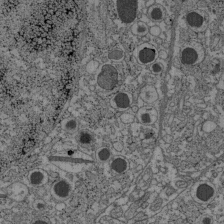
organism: C57BL Mouse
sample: Pancreatic islet